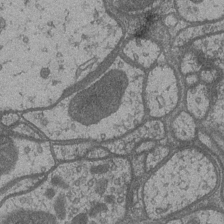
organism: Drosophila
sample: Optic medulla